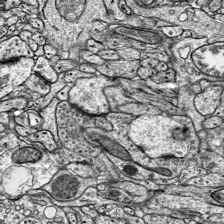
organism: Mouse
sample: Visual Cortex